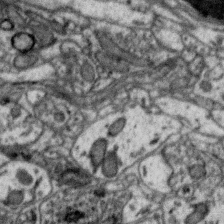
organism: Zebra finch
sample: Brain